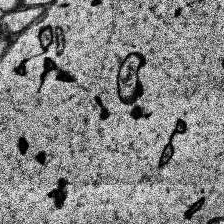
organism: Human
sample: Temporal Lobe